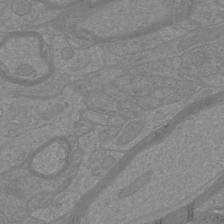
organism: Mouse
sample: Cortical neurons